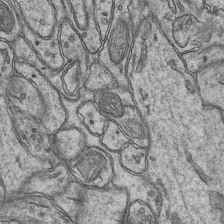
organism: Mouse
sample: CA1 Hippocampus